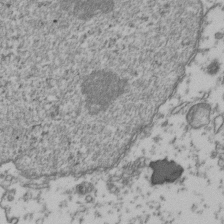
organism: Human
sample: Activated Jurkat CD4+ T cells